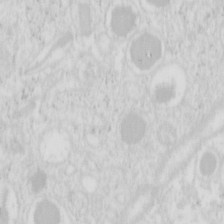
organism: Mouse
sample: Pancreas